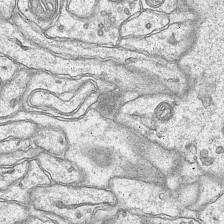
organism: Mouse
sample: CA1 Hippocampus